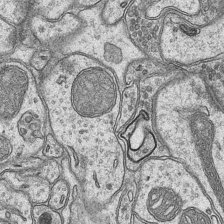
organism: Mouse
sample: CA1 Hippocampus